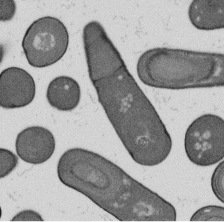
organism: B. subtilis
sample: Bacterial spore